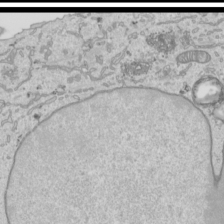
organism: Human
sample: Mitochondria in HCT116 cells